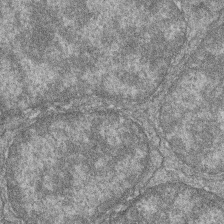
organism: Zebrafish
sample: Cilia; retinal pigment epithelium